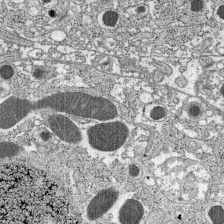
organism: C57BL Mouse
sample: Pancreatic islet